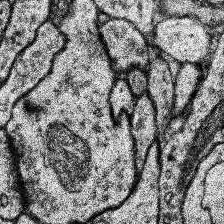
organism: Human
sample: Temporal Lobe